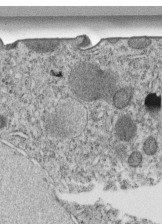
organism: C. elegans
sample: C. elegans embryo early stage